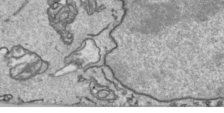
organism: Human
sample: Mitochondria in HCT116 cells